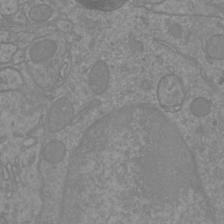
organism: Mouse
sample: Cortical neurons